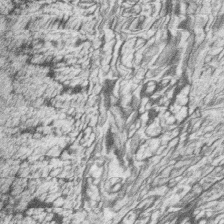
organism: Zebrafish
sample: synaptic ribbons in rod cells and cone cells